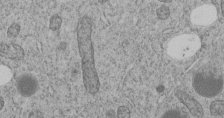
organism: C. elegans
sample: C. elegans embryo early stage